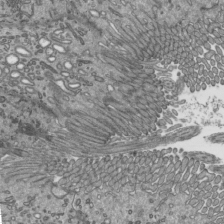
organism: Mouse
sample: Mouse epididymis efferent ductule cilia